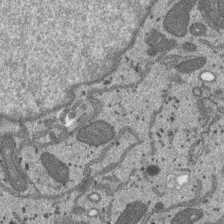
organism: Human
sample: Lung epithelial cells infected with SARS-CoV-2